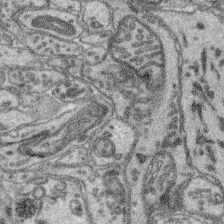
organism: Mouse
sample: Retina